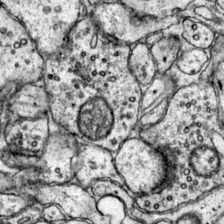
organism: Mouse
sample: Primary visual cortex